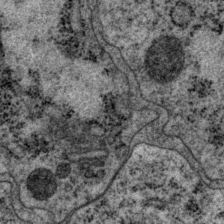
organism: P. pacificus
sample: Pharynx